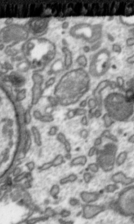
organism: Toxoplasma gondii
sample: Parasites in a vacuole inside a host cell